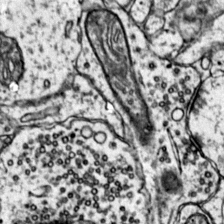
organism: Mouse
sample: Primary visual cortex